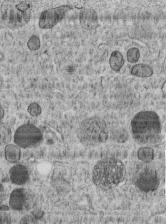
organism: C. elegans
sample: C. elegans embryo early stage